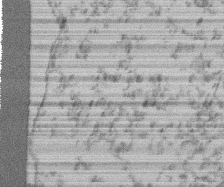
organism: Mouse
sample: T cell stromal cell synapse